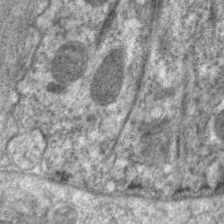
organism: C. elegans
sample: Pharynx